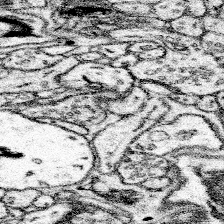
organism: Mouse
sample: Somatosensory cortex neuropil